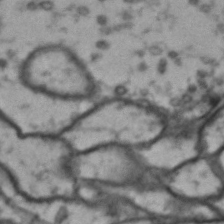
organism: Drosophila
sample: Brain